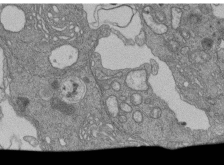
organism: Human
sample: Retinal organoid Rod and Cone cells